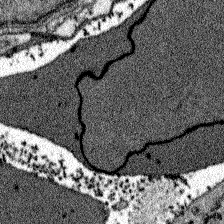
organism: Zebrafish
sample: Larval olfactory bulb